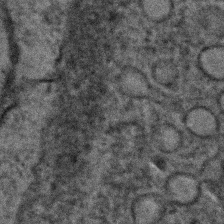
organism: C. elegans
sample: C. elegans embryo